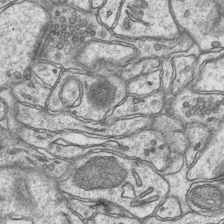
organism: Mouse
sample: CA1 Hippocampus